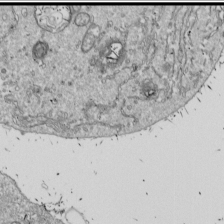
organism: Drosophila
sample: Cell division; meiosis; drosophila spermatocytes